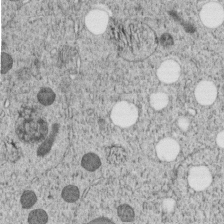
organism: C. elegans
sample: C. elegans embryo early stage